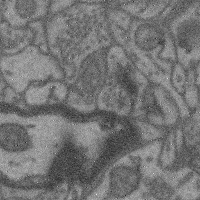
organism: Mouse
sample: Cerebral cortex